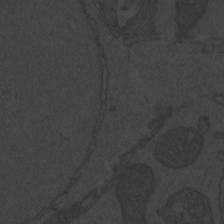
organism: Zebrafish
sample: Macrophage infected with Toxoplasma gondii